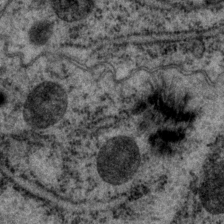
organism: P. pacificus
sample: Pharynx